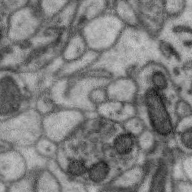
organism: Zebra finch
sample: Brain